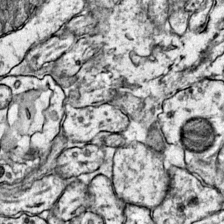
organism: Mouse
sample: Primary visual cortex